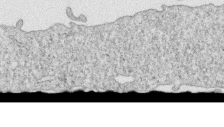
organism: Human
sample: HeLa cell HIV synapse